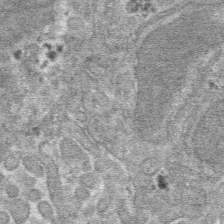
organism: Mouse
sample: Mouse hepatocytes